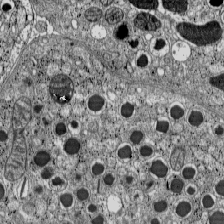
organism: C57BL Mouse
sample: Pancreatic islet